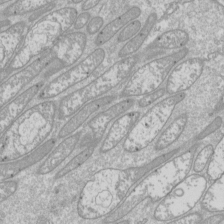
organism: Drosophila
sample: Cell division; meiosis; drosophila spermatocytes